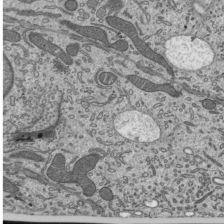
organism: Mouse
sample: Mouse epididymis efferent ductule cilia